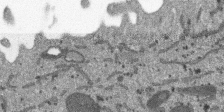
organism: Human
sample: Lung epithelial cells infected with SARS-CoV-2